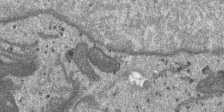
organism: Human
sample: Lung epithelial cells infected with SARS-CoV-2